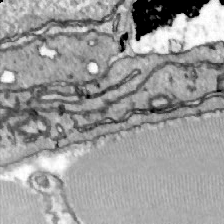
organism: Zebrafish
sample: Actinotrichia fibers